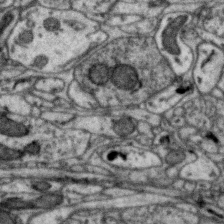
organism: Zebra finch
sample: Brain